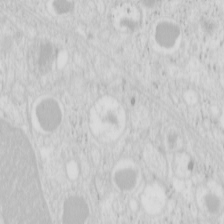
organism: Mouse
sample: Pancreas